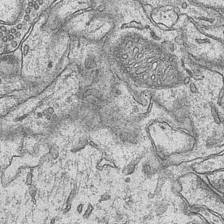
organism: Mouse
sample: CA1 Hippocampus